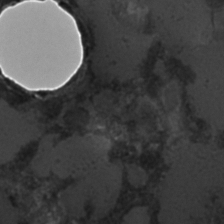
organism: C. elegans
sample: C. elegans embryo